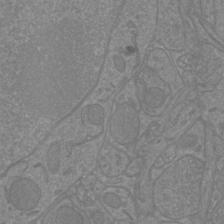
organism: Mouse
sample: Cortical neurons